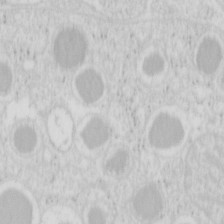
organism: Mouse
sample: Pancreas